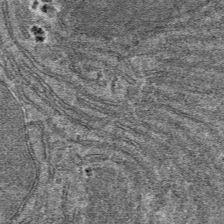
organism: Mouse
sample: Mouse hepatocytes